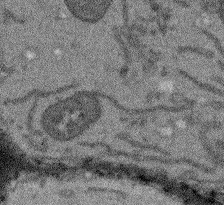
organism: Arabidopsis thaliana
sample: Root tip